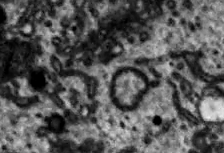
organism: Human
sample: HeLa cells